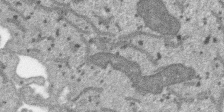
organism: Human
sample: Lung epithelial cells infected with SARS-CoV-2